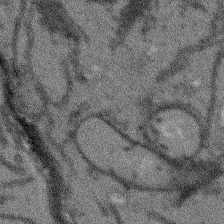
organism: Arabidopsis thaliana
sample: Root tip